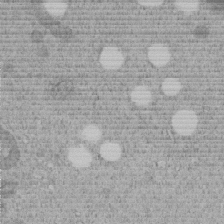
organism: C. elegans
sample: C. elegans embryo early stage